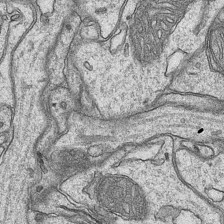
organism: Mouse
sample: CA1 Hippocampus